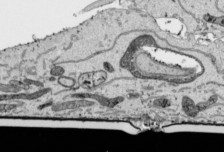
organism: Human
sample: Mitochondria in HCT116 cells